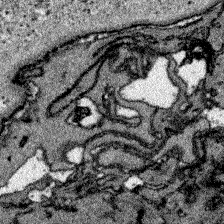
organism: Zebrafish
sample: Larval olfactory bulb